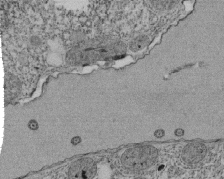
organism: Tetrahymena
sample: Cilia in tetrahymena